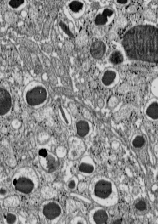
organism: C57BL Mouse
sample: Pancreatic islet